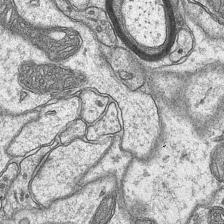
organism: Mouse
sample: CA1 Hippocampus